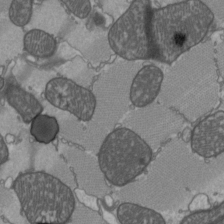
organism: C57BL Mouse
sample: Heart